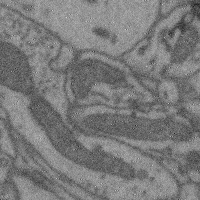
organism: Mouse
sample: Cerebral cortex